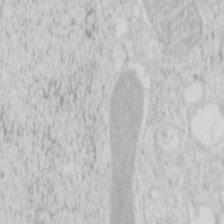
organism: Mouse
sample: Pancreas